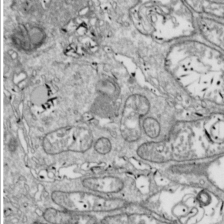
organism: Drosophila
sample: Cell division; meiosis; drosophila spermatocytes